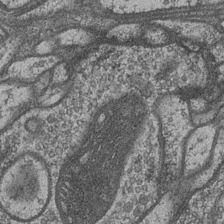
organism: Drosophila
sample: Optic medulla